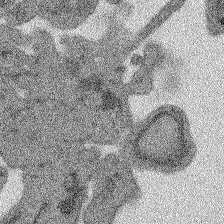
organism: Human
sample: HeLa cells